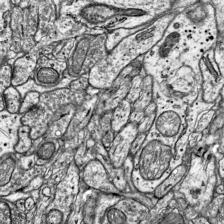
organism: Mouse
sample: Visual Cortex